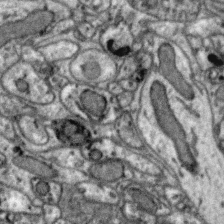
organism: Zebra finch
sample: Brain